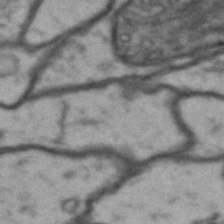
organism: Drosophila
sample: Brain